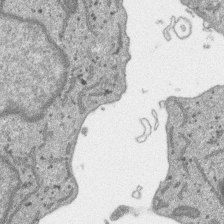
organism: Human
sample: Lung epithelial cells infected with SARS-CoV-2